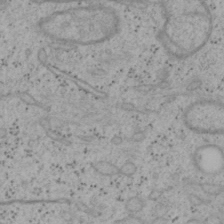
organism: Human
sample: HeLa cells